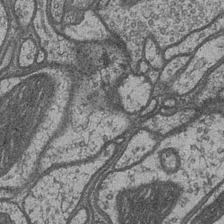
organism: Drosophila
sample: Optic medulla